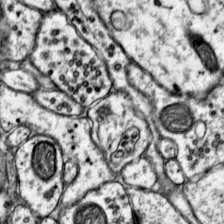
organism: Mouse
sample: Primary visual cortex